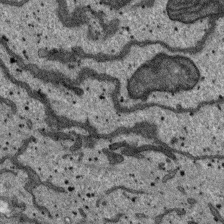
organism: Human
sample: Lung epithelial cells, uninfected (mock) control